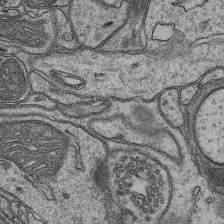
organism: Mouse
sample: CA1 Hippocampus